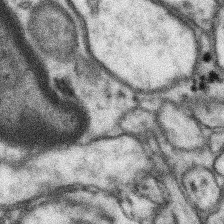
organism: Mouse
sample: Somatosensory cortex neuropil